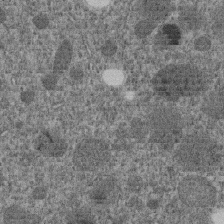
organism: C. elegans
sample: C. elegans embryo early stage